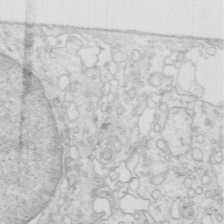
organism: Mouse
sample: Multiciliated cells